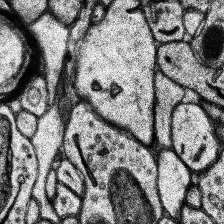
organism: Human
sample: Temporal Lobe